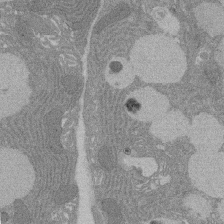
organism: Rat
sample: Salivary granule